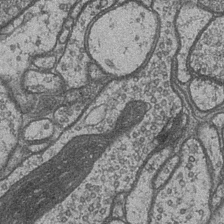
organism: Drosophila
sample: Optic medulla